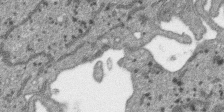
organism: Human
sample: Lung epithelial cells infected with SARS-CoV-2